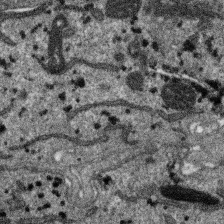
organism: Human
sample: Lung epithelial cells infected with SARS-CoV-2